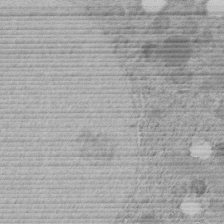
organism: C. elegans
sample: C. elegans embryo early stage